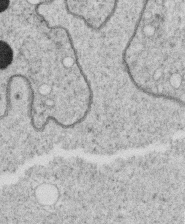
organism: C. elegans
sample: C. elegans oocyte; sperm cells